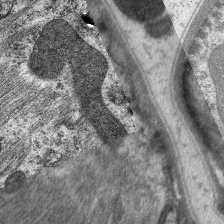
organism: C. elegans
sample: Pharynx